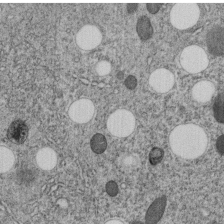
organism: C. elegans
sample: C. elegans embryo early stage